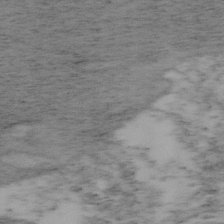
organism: Mouse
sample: OT-I killer T cells with ID8 ovarian cancer cells